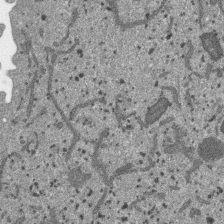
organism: Human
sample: Lung epithelial cells infected with SARS-CoV-2